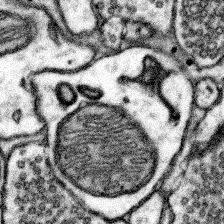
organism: Mouse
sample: Somatosensory cortex neuropil